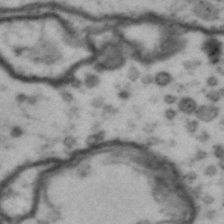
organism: Drosophila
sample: Brain